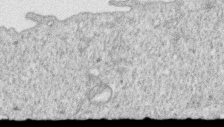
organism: Human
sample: HeLa cell HIV synapse